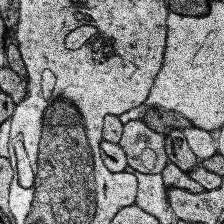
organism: Human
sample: Temporal Lobe